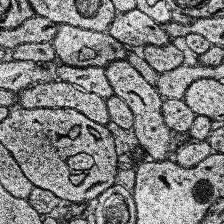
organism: Human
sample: Temporal Lobe